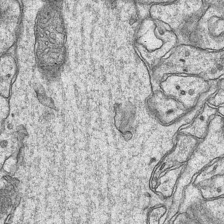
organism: Mouse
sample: CA1 Hippocampus